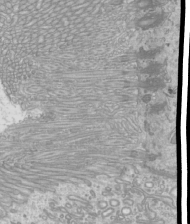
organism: Mouse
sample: Cilia; mouse epididymis